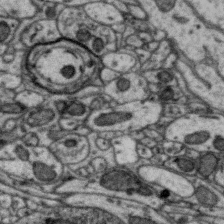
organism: Zebra finch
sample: Brain